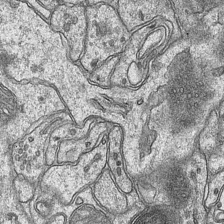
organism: Mouse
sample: CA1 Hippocampus